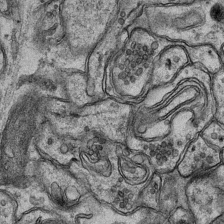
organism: Mouse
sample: CA1 Hippocampus